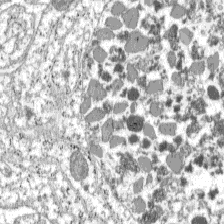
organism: C57BL Mouse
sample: Pancreatic islet